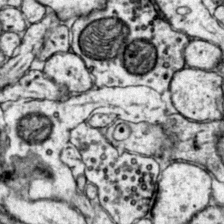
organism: Mouse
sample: Primary visual cortex